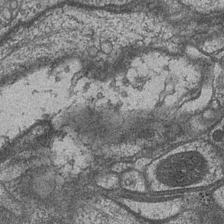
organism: Drosophila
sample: Optic medulla